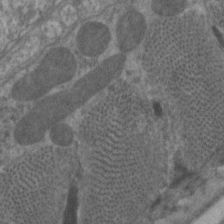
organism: C. elegans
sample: Pharynx